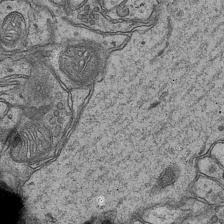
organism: Mouse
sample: CA1 Hippocampus